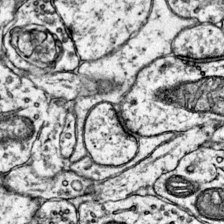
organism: Mouse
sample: Primary visual cortex